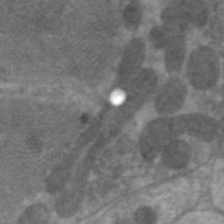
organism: C. elegans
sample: Pharynx